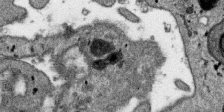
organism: Human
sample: Lung epithelial cells, uninfected (mock) control